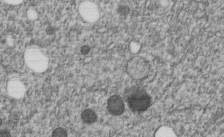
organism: C. elegans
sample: C. elegans embryo early stage